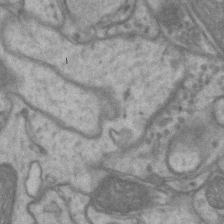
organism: Mouse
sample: CA1 Hippocampus